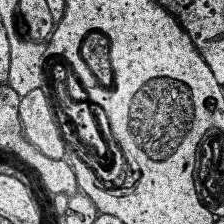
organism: Human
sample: Temporal Lobe